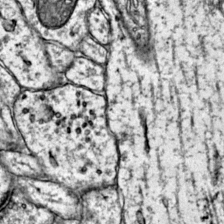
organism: Mouse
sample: Primary visual cortex